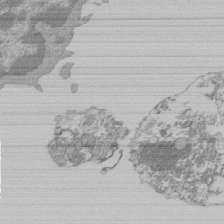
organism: Mouse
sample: Activated Pmel transgenic CD8+ T Cells